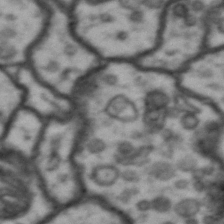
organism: Drosophila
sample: Brain